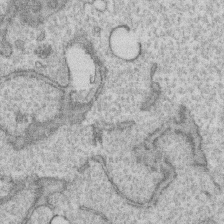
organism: Human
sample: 1205lu cells